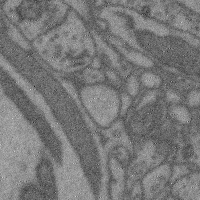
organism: Mouse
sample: Cerebral cortex